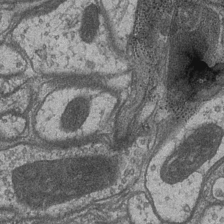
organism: Drosophila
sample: Optic medulla